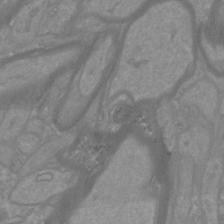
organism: Mouse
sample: Cortical neurons